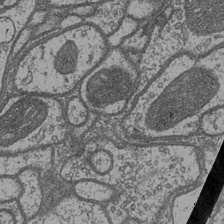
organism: Drosophila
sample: Optic medulla